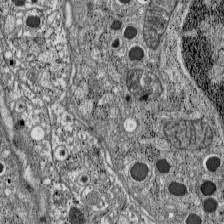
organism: C57BL Mouse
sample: Pancreatic islet